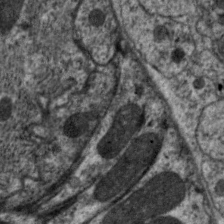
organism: C. elegans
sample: Pharynx